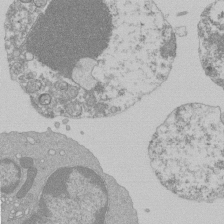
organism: Mouse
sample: Activated Pmel transgenic CD8+ T Cells